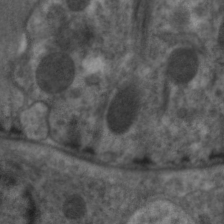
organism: C. elegans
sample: Pharynx